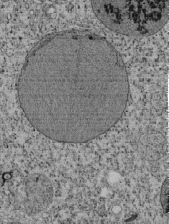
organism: Tetrahymena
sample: Cilia in tetrahymena